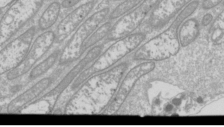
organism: Drosophila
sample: Cell division; meiosis; drosophila spermatocytes